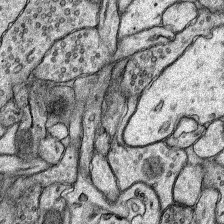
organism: Rat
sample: Hippocampus